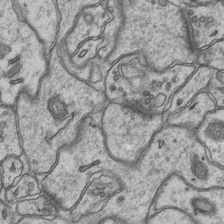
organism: Mouse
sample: CA1 Hippocampus